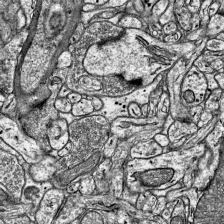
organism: Mouse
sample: Visual Cortex